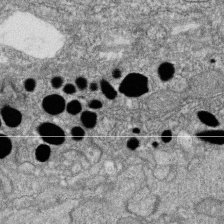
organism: Zebrafish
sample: Cilia; retinal pigment epithelium